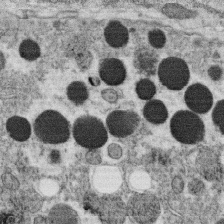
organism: C. elegans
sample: C. elegans oocyte; sperm cells